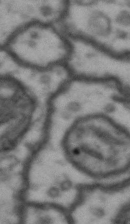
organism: Drosophila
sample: Brain